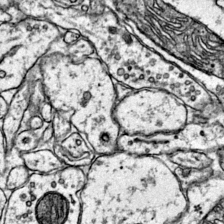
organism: Mouse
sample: Primary visual cortex